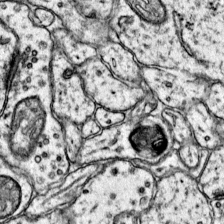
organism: Mouse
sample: Primary visual cortex